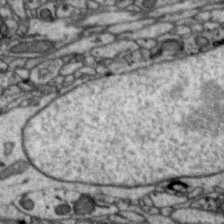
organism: Zebra finch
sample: Brain